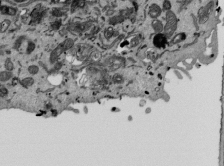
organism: Mouse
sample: ED-1 cell nuclei; centrioles